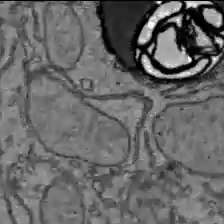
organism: C57BL Mouse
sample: Liver